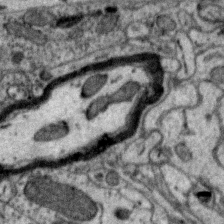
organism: Zebra finch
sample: Brain